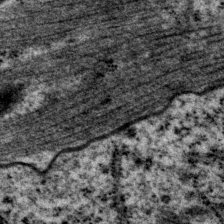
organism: P. pacificus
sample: Pharynx